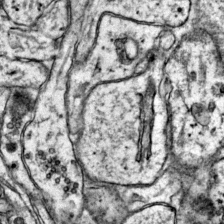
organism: Mouse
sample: Primary visual cortex